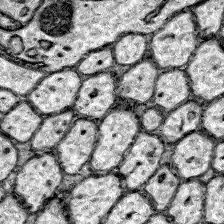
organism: Zebrafish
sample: Brain